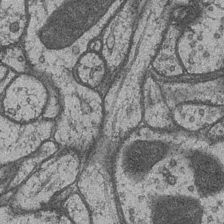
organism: Drosophila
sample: Optic medulla